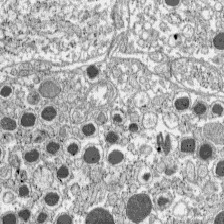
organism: C57BL Mouse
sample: Pancreatic islet